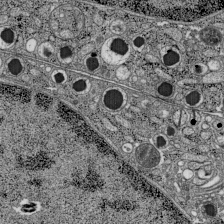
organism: C57BL Mouse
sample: Pancreatic islet